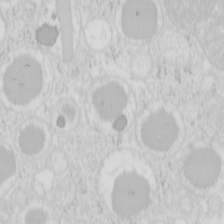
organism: Mouse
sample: Pancreas